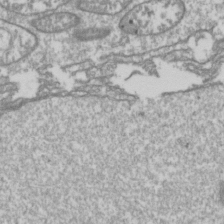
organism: Drosophila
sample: Cell division; meiosis; drosophila spermatocytes